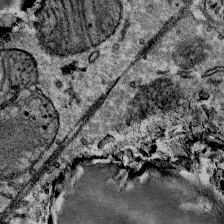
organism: Mouse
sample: Mouse Salivary gland